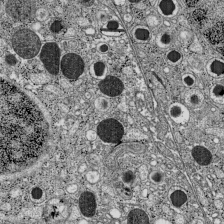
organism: C57BL Mouse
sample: Pancreatic islet